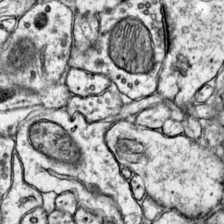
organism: Mouse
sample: Primary visual cortex